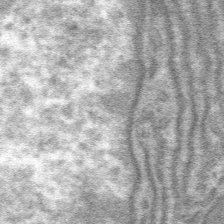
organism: Mouse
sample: Mouse hepatocytes